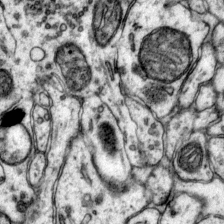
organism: Mouse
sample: Primary visual cortex